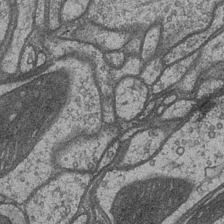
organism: Drosophila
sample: Optic medulla